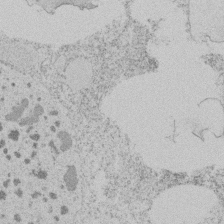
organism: Tetrahymena